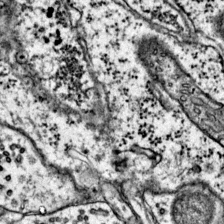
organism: Mouse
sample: Primary visual cortex